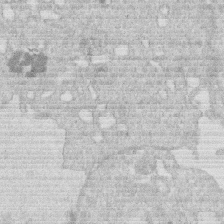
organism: Human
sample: Macrophage cells